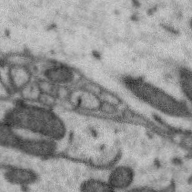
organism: Zebra finch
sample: Brain